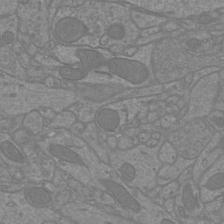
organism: Mouse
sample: Cortical neurons